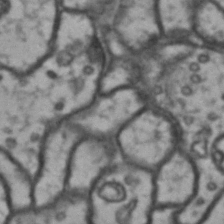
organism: Drosophila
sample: Brain